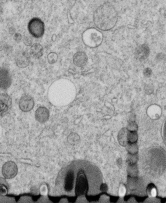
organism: C. elegans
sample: C. elegans embryo early stage